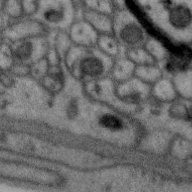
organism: Zebra finch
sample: Brain